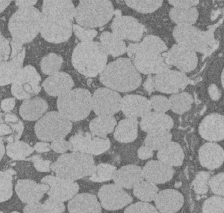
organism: Rat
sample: Salivary granule